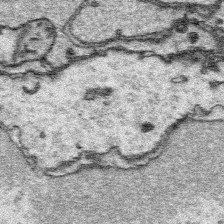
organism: Platynereis dumerilii